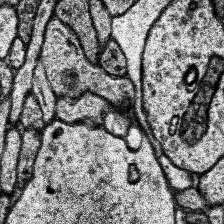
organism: Human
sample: Temporal Lobe